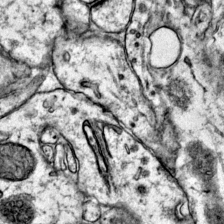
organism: Mouse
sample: Primary visual cortex